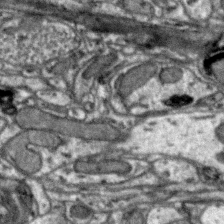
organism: Zebra finch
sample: Brain